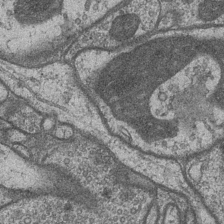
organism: Drosophila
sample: Optic medulla